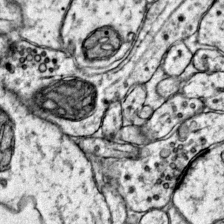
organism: Mouse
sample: Primary visual cortex